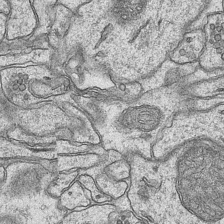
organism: Mouse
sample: CA1 Hippocampus